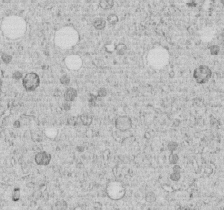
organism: C. elegans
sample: C. elegans embryo early stage